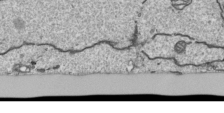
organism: Human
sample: Mitochondria in HCT116 cells